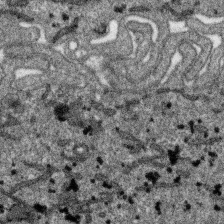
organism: Human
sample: Lung epithelial cells infected with SARS-CoV-2